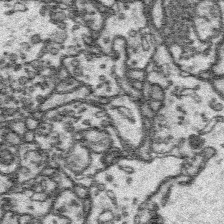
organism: Platynereis dumerilii